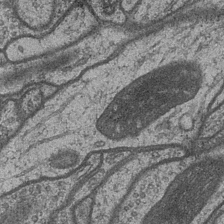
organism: Drosophila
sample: Optic medulla